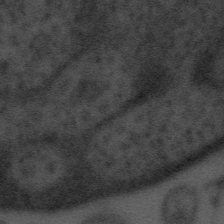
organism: Tuwongella immobilis